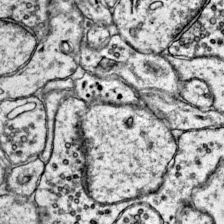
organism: Mouse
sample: Primary visual cortex